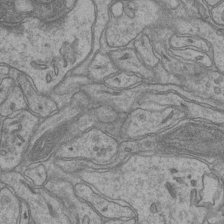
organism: Mouse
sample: CA1 Hippocampus